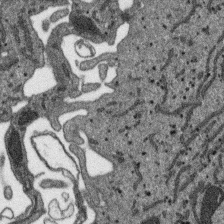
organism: Human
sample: Lung epithelial cells infected with SARS-CoV-2